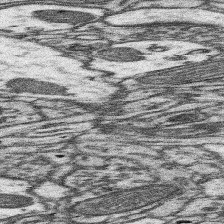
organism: Mouse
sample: Somatosensory cortex neuropil